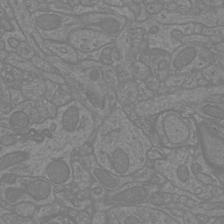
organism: Mouse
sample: Cortical neurons